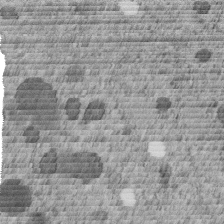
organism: C. elegans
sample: C. elegans embryo early stage